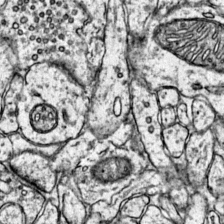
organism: Mouse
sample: Primary visual cortex